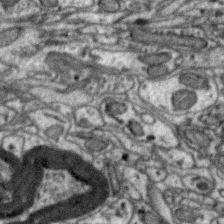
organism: Zebra finch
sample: Brain